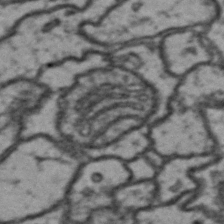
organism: Drosophila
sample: Brain